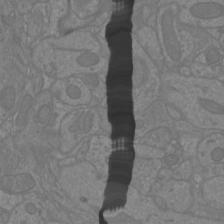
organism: Mouse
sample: Cortical neurons